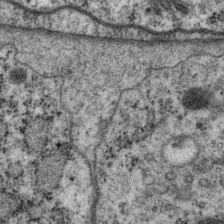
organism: P. pacificus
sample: Pharynx